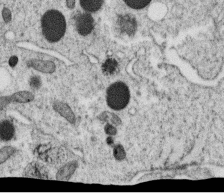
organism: C. elegans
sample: C. elegans oocyte; sperm cells